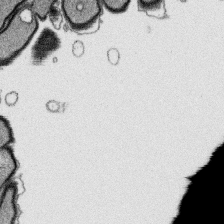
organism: Platynereis dumerilii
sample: Parapodia